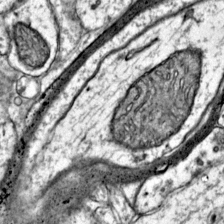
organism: Mouse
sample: Primary visual cortex